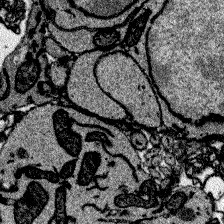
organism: Zebrafish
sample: Larval olfactory bulb